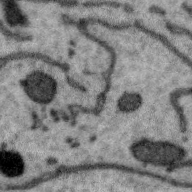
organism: Zebra finch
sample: Brain